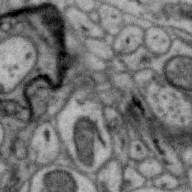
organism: Zebra finch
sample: Brain